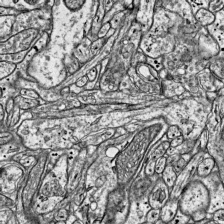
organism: Mouse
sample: Visual Cortex